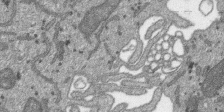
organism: Human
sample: Lung epithelial cells infected with SARS-CoV-2